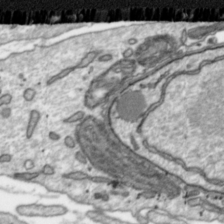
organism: Toxoplasma gondii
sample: Parasites in a vacuole inside a host cell